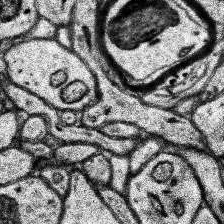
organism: Human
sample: Temporal Lobe